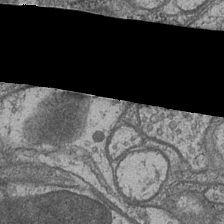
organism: Drosophila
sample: Optic medulla